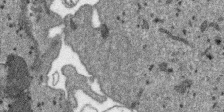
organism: Human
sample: Lung epithelial cells infected with SARS-CoV-2